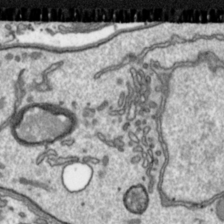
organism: Toxoplasma gondii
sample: Parasites in a vacuole inside a host cell